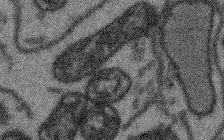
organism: Arabidopsis thaliana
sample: Root tip